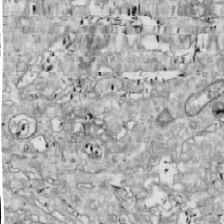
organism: Drosophila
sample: Cell division; meiosis; drosophila spermatocytes